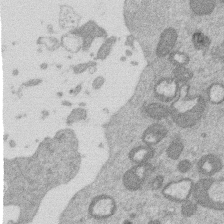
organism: Mouse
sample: Dividing mouse embryo 1 cell stage